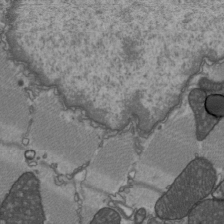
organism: C57BL Mouse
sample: Heart